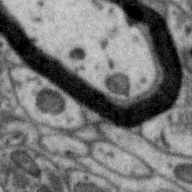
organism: Zebra finch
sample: Brain